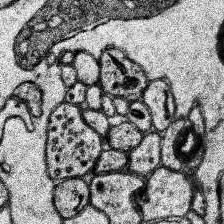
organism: Human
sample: Temporal Lobe